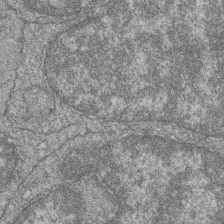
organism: Zebrafish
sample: Cilia; retinal pigment epithelium